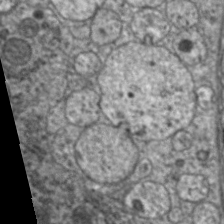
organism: C. elegans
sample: Pharynx